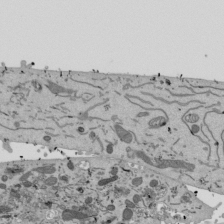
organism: Mouse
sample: ED-1 cell nuclei; centrioles